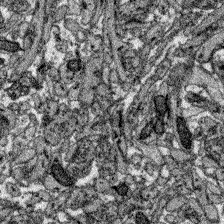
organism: Zebrafish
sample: Larval olfactory bulb